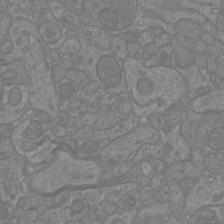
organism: Mouse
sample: Cortical neurons